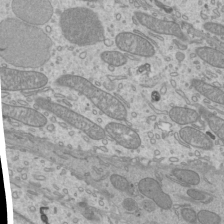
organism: Mouse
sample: Cilia; mouse epididymis